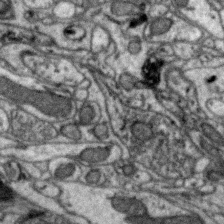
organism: Zebra finch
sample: Brain